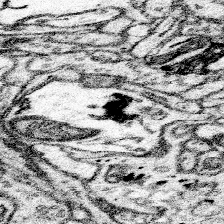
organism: Mouse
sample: Somatosensory cortex neuropil